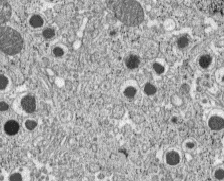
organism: C57BL Mouse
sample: Pancreatic islet